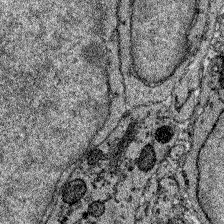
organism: Zebrafish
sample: Larval olfactory bulb